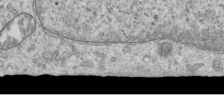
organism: Human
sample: Centriole in RPE cells